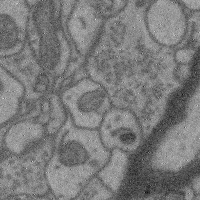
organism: Mouse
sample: Cerebral cortex